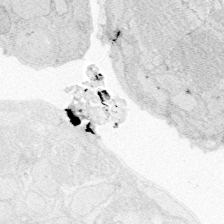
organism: Zebrafish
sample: Whole-Brain